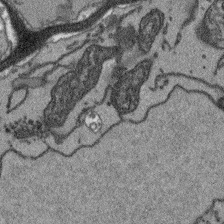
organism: Arabidopsis thaliana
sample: Root tip